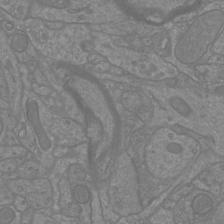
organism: Mouse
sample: Cortical neurons